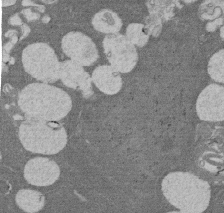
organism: Rat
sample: Salivary granule